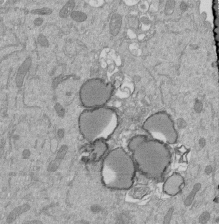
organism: Mouse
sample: ED-1 cell nuclei; centrioles